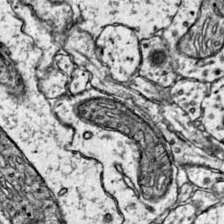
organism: Mouse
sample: Primary visual cortex